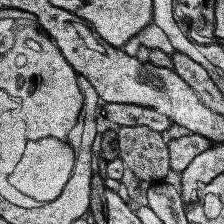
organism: Human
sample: Temporal Lobe